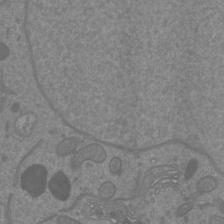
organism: Mouse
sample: Cortical neurons